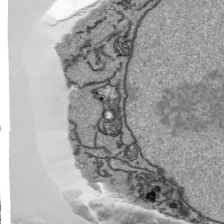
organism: Human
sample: Mitochondria in HCT116 cells